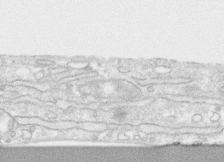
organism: Human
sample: CRL-1474